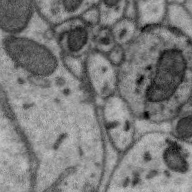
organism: Zebra finch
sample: Brain